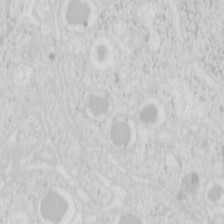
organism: Mouse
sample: Pancreas